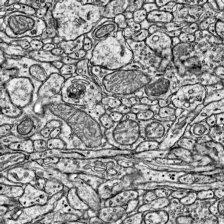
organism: Mouse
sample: Visual Cortex